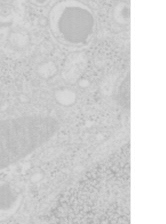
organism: Mouse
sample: Pancreas